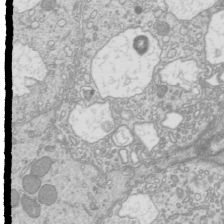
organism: Mouse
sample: Cilia; mouse epididymis